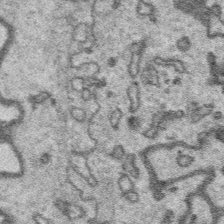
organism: Platynereis dumerilii